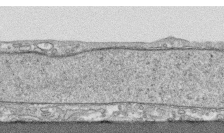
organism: Human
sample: CRL-1474